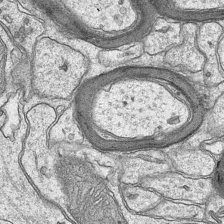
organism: Mouse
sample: CA1 Hippocampus